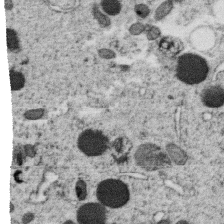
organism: C. elegans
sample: C. elegans oocyte; sperm cells